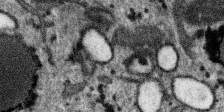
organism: Human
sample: Lung epithelial cells infected with SARS-CoV-2